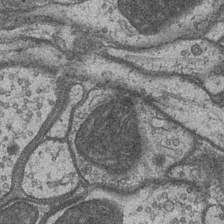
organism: Drosophila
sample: Optic medulla